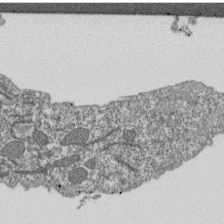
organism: Dictyostelium discoideum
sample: Dictyostelium multivesicular bodies